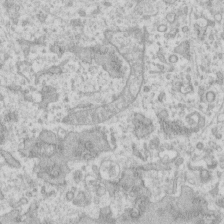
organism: Human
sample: Fibroblast cells